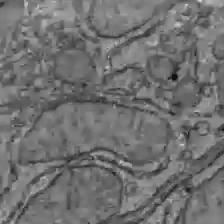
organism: C57BL Mouse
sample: Liver